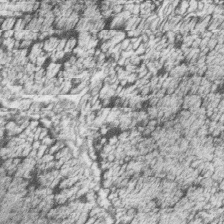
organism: Zebrafish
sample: synaptic ribbons in rod cells and cone cells